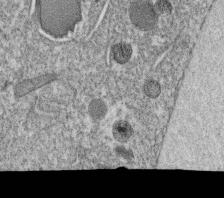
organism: C. elegans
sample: C. elegans oocyte; sperm cells